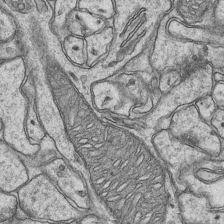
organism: Mouse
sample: CA1 Hippocampus